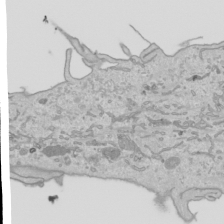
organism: Human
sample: Mitochondria in HCT116 cells